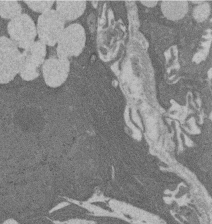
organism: Rat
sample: Salivary granule